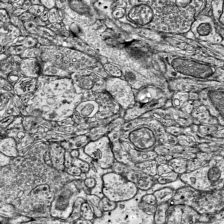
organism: Mouse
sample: Visual Cortex